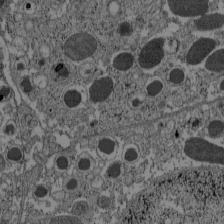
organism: C57BL Mouse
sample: Pancreatic islet